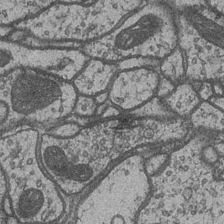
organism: Drosophila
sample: Optic medulla